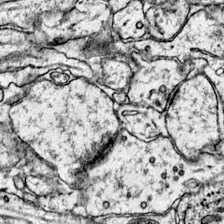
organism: Mouse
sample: Primary visual cortex